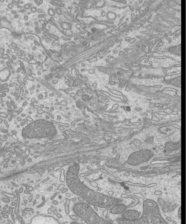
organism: Mouse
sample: Cilia; mouse epididymis